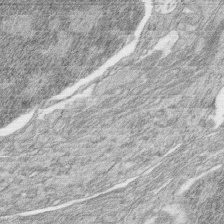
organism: Zebrafish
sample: synaptic ribbons in rod cells and cone cells